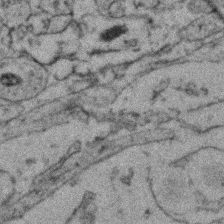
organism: Zebrafish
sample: Zebrafish embryo